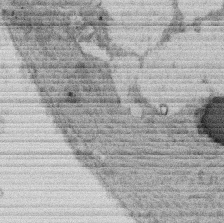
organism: Rat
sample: Salivary granule